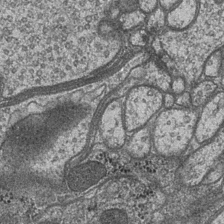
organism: Drosophila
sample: Optic medulla